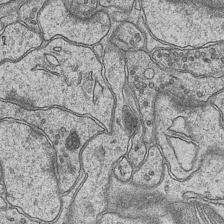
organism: Mouse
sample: CA1 Hippocampus